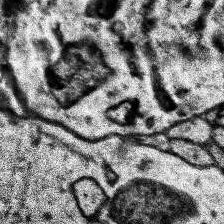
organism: Human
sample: Temporal Lobe